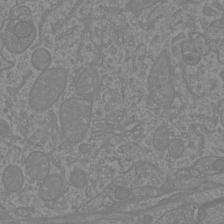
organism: Mouse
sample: Cortical neurons